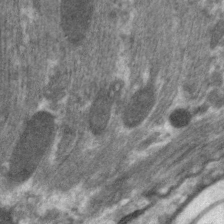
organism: C. elegans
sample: Pharynx